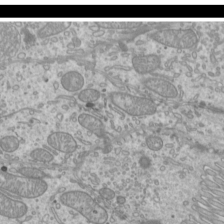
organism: Mouse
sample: Cilia; mouse epididymis